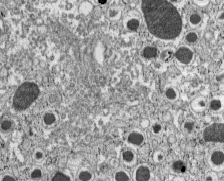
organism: C57BL Mouse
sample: Pancreatic islet